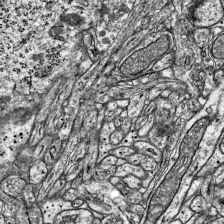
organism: Mouse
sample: Visual Cortex